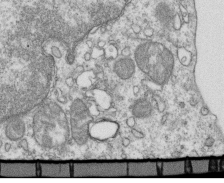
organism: Mouse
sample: Activated OT-1 CD8+ T cells